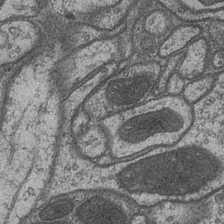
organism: Drosophila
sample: Optic medulla